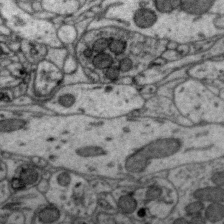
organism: Zebra finch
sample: Brain